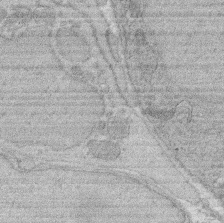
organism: Rat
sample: Salivary granule